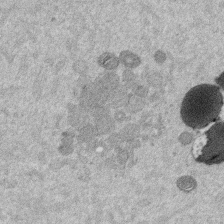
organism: Mouse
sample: Dividing mouse embryo 1 cell stage